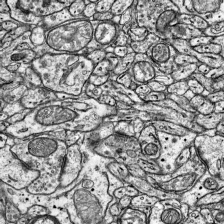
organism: Mouse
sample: Visual Cortex